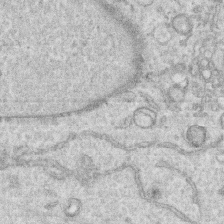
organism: Human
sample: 1205lu cells